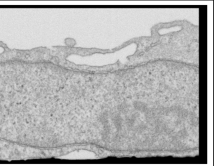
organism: Human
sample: Centriole in RPE cells